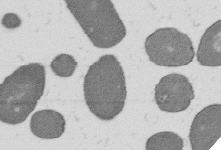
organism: B. subtilis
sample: Bacterial spore